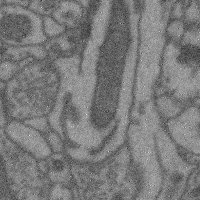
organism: Mouse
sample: Cerebral cortex